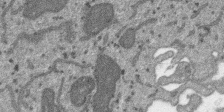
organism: Human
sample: Lung epithelial cells infected with SARS-CoV-2